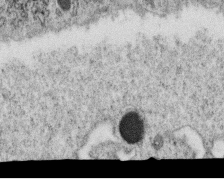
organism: C. elegans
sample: C. elegans oocyte; sperm cells